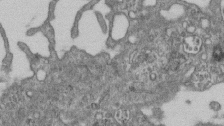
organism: Mouse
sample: Centriole in ependymal cells